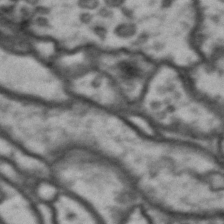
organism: Drosophila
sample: Brain